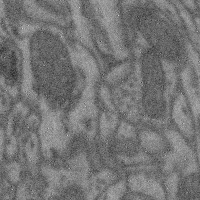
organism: Mouse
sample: Cerebral cortex